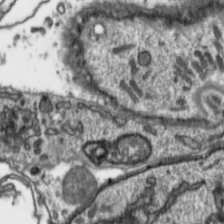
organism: Toxoplasma gondii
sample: Parasites in a vacuole inside a host cell